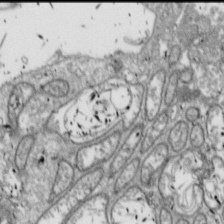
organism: Drosophila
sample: Cell division; meiosis; drosophila spermatocytes